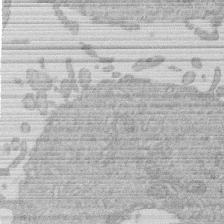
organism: Human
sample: Macrophage cells